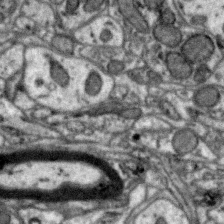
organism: Zebra finch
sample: Brain